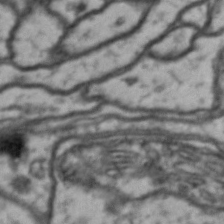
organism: Drosophila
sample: Brain